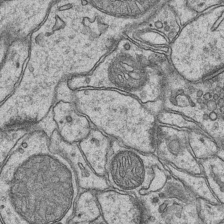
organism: Mouse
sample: CA1 Hippocampus